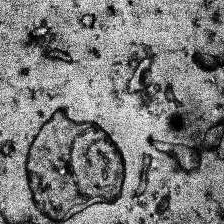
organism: Human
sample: Temporal Lobe